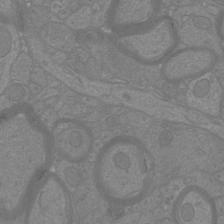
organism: Mouse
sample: Cortical neurons